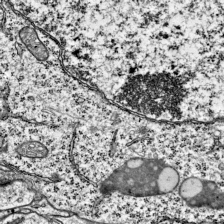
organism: Mouse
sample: Visual Cortex